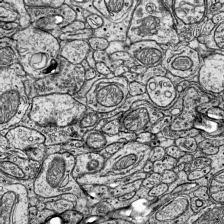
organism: Mouse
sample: Visual Cortex